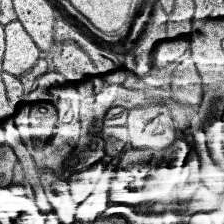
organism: Human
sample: Temporal Lobe